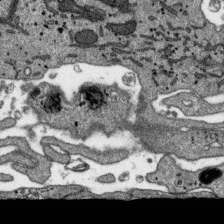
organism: Human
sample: Lung epithelial cells, uninfected (mock) control